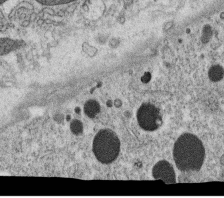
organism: C. elegans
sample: C. elegans oocyte; sperm cells